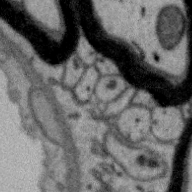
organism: Zebra finch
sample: Brain